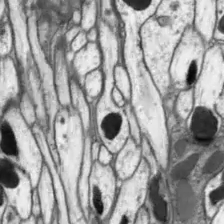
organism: Drosophila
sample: Optic lobe